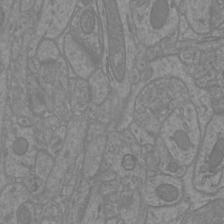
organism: Mouse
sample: Cortical neurons